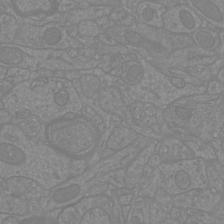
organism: Mouse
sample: Cortical neurons